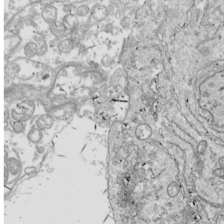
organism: Drosophila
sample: Cell division; meiosis; drosophila spermatocytes